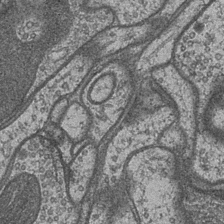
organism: Drosophila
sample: Optic medulla